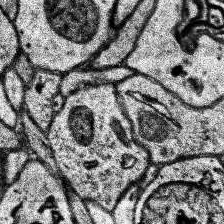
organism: Human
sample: Temporal Lobe